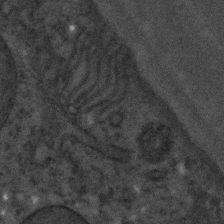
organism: C. elegans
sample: C. elegans embryo